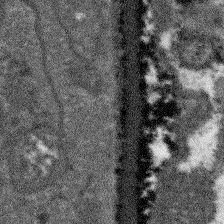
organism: Arabidopsis thaliana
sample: Root tip